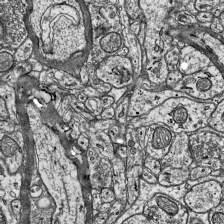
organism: Mouse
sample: Visual Cortex